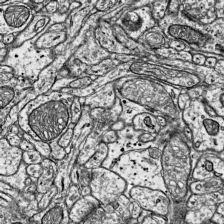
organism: Mouse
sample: Visual Cortex